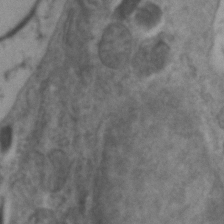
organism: Zebrafish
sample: Zebrafish embryo